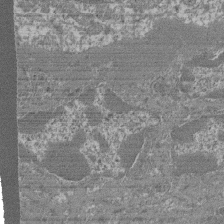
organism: Mouse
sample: Glomerulus